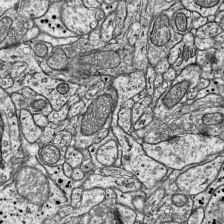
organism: Mouse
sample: Visual Cortex